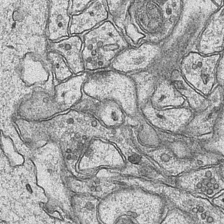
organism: Mouse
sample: CA1 Hippocampus